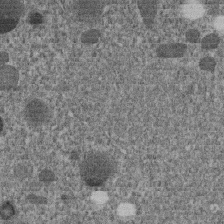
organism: C. elegans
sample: C. elegans embryo early stage